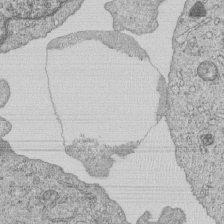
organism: Human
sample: MDA-MB-231 cells